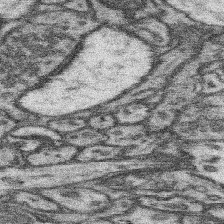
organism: Mouse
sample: Somatosensory cortex neuropil